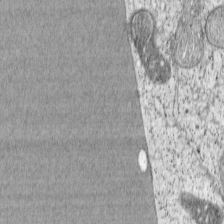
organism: African green monkey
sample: COS-7 cells